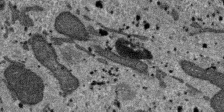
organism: Human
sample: Lung epithelial cells, uninfected (mock) control